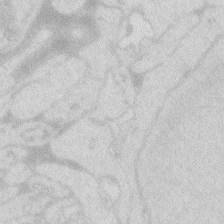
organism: Zebrafish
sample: Macrophage